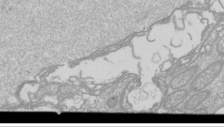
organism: Drosophila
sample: Cell division; meiosis; drosophila spermatocytes